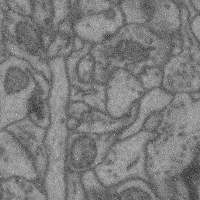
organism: Mouse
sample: Cerebral cortex